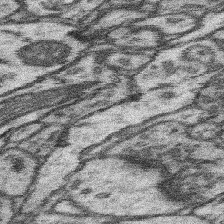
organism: Mouse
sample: Somatosensory cortex neuropil